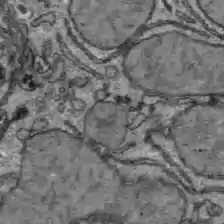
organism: C57BL Mouse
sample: Liver